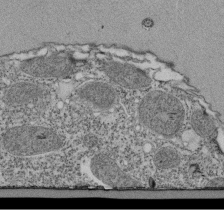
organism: Tetrahymena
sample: Cilia in tetrahymena